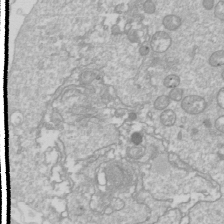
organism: Drosophila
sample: Cell division; meiosis; drosophila spermatocytes